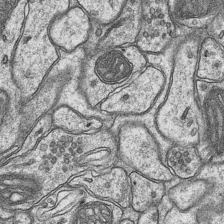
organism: Mouse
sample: CA1 Hippocampus